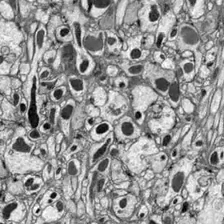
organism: Drosophila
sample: Optic lobe